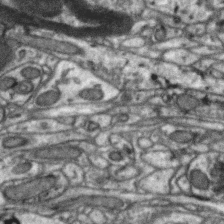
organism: Zebra finch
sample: Brain